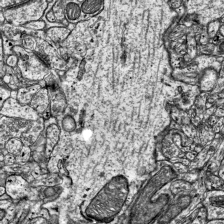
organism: Mouse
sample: Visual Cortex